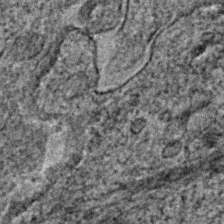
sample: Trachea